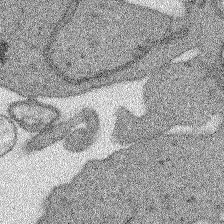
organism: Human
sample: HeLa cells